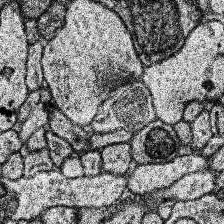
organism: Human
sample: Temporal Lobe